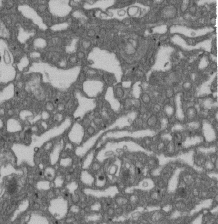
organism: Drosophila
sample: Nephrocyte